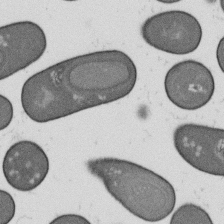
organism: B. subtilis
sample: Bacterial spore